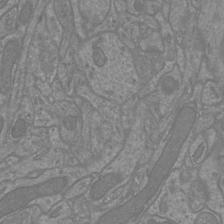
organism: Mouse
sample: Cortical neurons